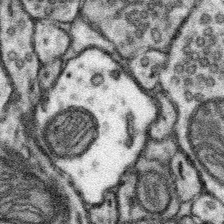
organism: Mouse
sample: Somatosensory cortex neuropil